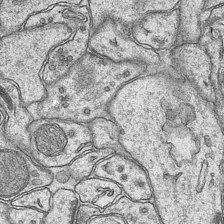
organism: Mouse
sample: CA1 Hippocampus